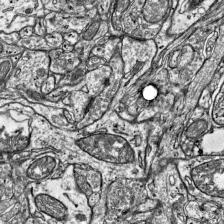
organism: Mouse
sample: Visual Cortex